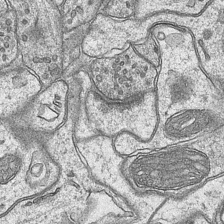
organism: Mouse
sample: CA1 Hippocampus